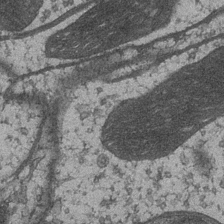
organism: Drosophila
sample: Optic medulla